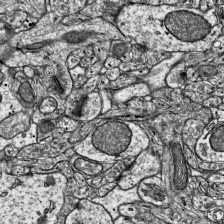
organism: Mouse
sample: Visual Cortex